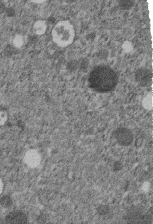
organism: C. elegans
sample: C. elegans embryo early stage